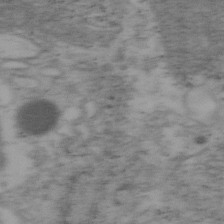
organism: Mouse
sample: OT-I killer T cells with ID8 ovarian cancer cells